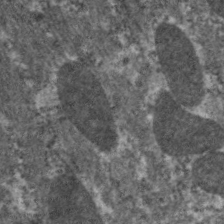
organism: C. elegans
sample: Pharynx